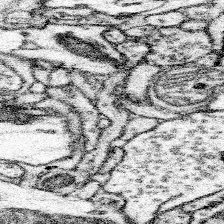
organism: Mouse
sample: Somatosensory cortex neuropil